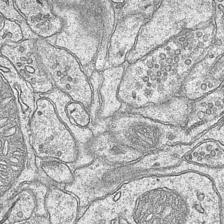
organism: Mouse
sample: CA1 Hippocampus